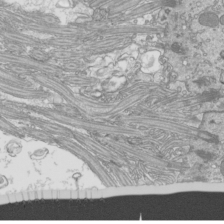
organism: Mouse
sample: Cilia; mouse epididymis